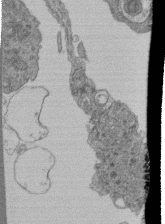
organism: Human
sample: Retinal organoid Rod and Cone cells